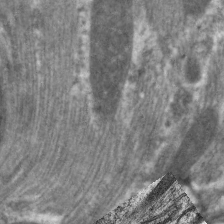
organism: C. elegans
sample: Pharynx